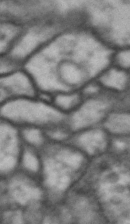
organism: Drosophila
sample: Brain